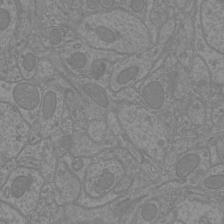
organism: Mouse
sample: Cortical neurons